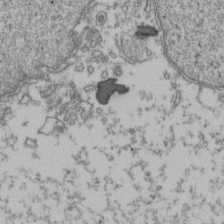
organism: Human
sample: Activated Jurkat CD4+ T cells